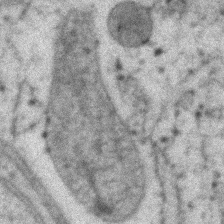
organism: Zebrafish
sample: Zebrafish embryo